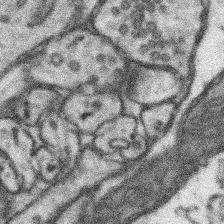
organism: Mouse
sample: Somatosensory cortex neuropil